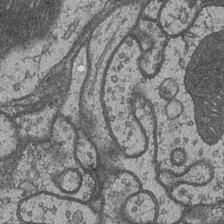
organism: Drosophila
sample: Optic medulla